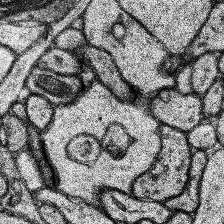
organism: Human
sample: Temporal Lobe